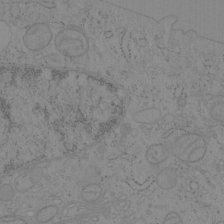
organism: Human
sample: HeLa cells